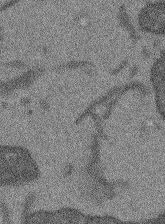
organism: Arabidopsis thaliana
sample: Root tip